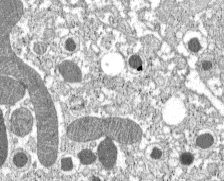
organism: C57BL Mouse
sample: Pancreatic islet